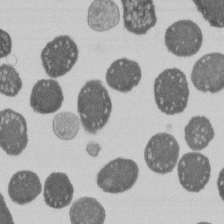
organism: E. coli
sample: Bacterial nucleoid